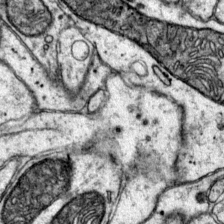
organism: Mouse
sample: Primary visual cortex